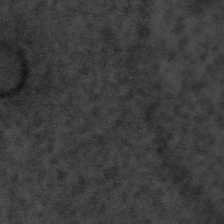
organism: Tuwongella immobilis